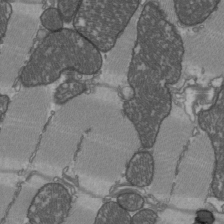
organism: C57BL Mouse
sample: Heart